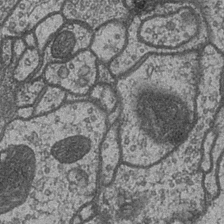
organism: Drosophila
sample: Optic medulla